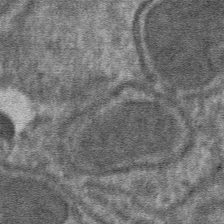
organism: Mouse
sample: Mouse hepatocytes